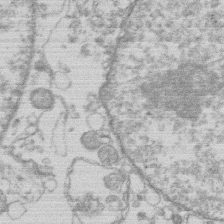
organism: Human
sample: Macrophage cells